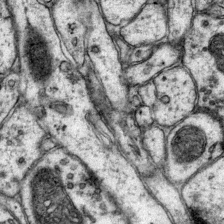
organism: Mouse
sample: Primary visual cortex